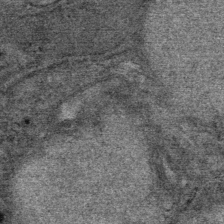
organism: Mouse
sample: Mouse Salivary gland